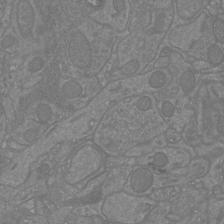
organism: Mouse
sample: Cortical neurons